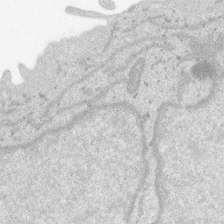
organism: Human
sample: Lung epithelial cells infected with SARS-CoV-2